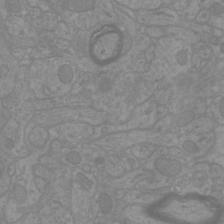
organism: Mouse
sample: Cortical neurons